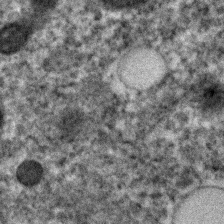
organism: C. elegans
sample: C. elegans embryo